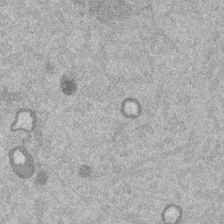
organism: Mouse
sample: Dividing mouse embryo 1 cell stage